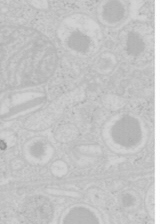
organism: Mouse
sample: Pancreas